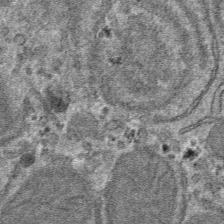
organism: Mouse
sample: Mouse hepatocytes